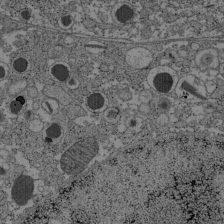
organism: C57BL Mouse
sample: Pancreatic islet